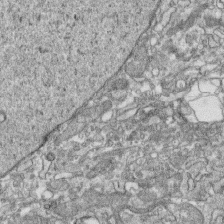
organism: Human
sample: CRL-1474